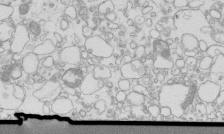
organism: Mouse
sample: Macrophages